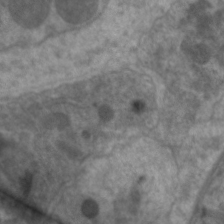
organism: C. elegans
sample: Pharynx